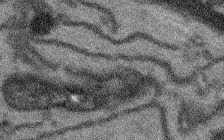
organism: Arabidopsis thaliana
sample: Root tip